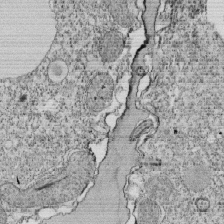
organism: Tetrahymena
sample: Cilia in tetrahymena